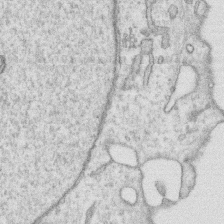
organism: Human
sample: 1205lu cells